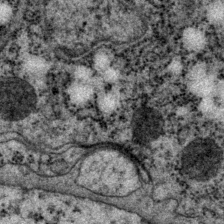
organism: P. pacificus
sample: Pharynx